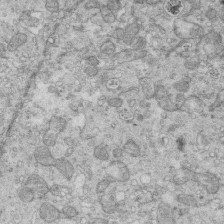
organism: Mouse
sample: Multiciliated cells